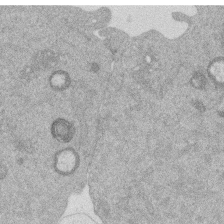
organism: Mouse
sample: Dividing mouse embryo 1 cell stage